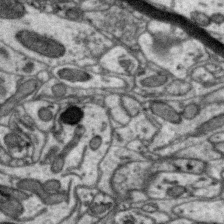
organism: Zebra finch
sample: Brain